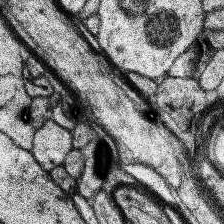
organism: Human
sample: Temporal Lobe